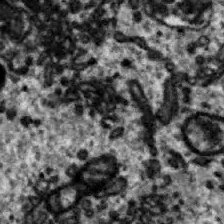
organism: Human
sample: HeLa cells